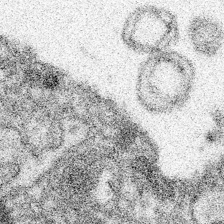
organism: Spongilla lacustris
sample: Neuroid cell